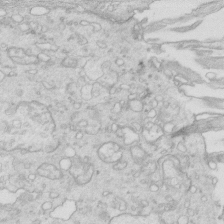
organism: Mouse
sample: Multiciliated cells